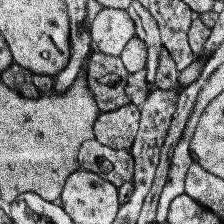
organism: Human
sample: Temporal Lobe